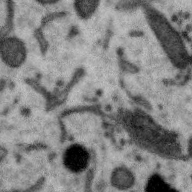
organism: Zebra finch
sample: Brain